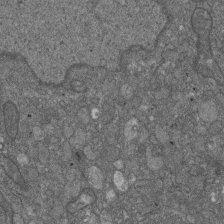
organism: Drosophila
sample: Nephrocyte